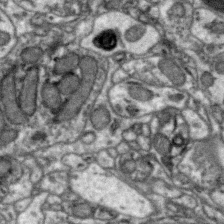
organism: Zebra finch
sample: Brain